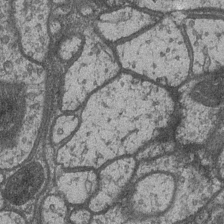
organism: Drosophila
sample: Optic medulla